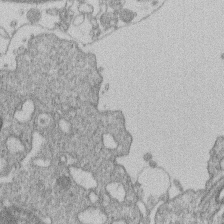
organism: Human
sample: Macrophage cells